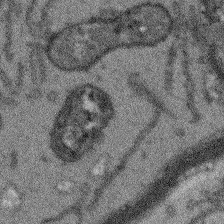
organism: Arabidopsis thaliana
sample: Root tip